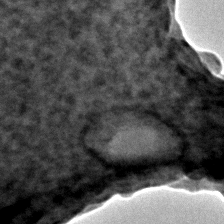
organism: C. elegans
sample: C. elegans embryo